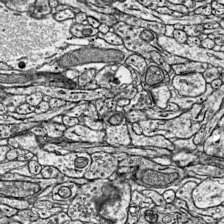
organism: Mouse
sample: Visual Cortex